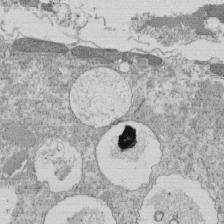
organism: Tetrahymena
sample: Cilia in tetrahymena